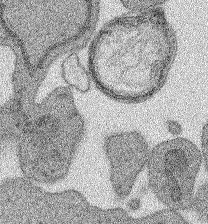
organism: Human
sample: HeLa cells